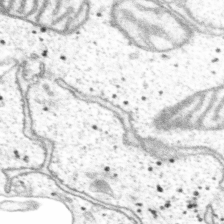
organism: Human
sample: HeLa cells